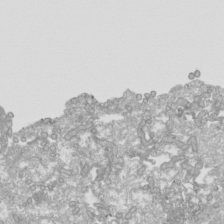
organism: Human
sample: Mitochondria in HCT116 cells